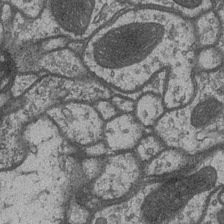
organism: Drosophila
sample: Optic medulla